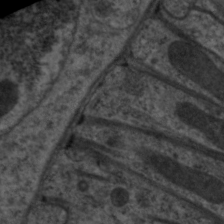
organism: C. elegans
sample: Pharynx